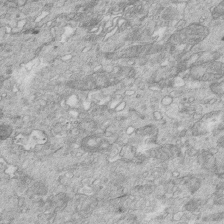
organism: Mouse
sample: Multiciliated cells